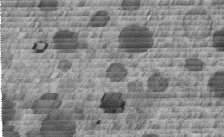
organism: C. elegans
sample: C. elegans embryo early stage